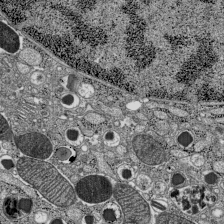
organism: C57BL Mouse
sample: Pancreatic islet